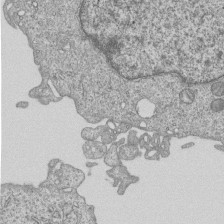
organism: Human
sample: MDA-MB-231 cells